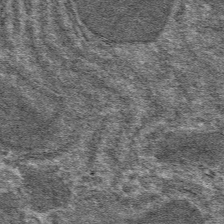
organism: Mouse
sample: Mouse hepatocytes